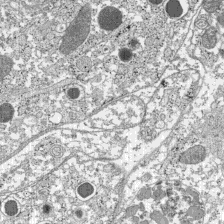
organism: C57BL Mouse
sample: Pancreatic islet